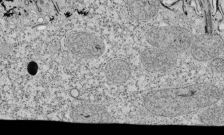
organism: Tetrahymena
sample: Cilia in tetrahymena